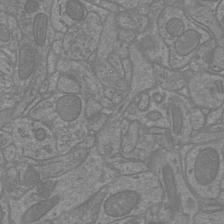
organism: Mouse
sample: Cortical neurons